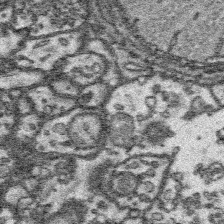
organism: Platynereis dumerilii